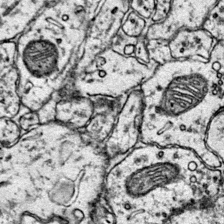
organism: Mouse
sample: Primary visual cortex